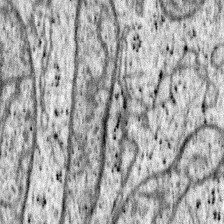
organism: Human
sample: HeLa cells